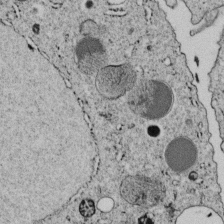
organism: C. elegans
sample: C. elegans embryo early stage